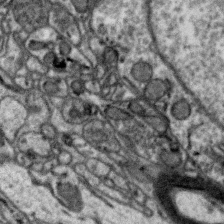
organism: Zebra finch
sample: Brain